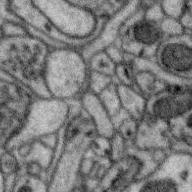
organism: Zebra finch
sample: Brain